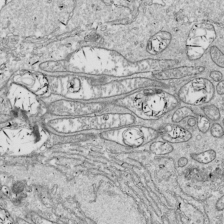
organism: Drosophila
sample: Cell division; meiosis; drosophila spermatocytes